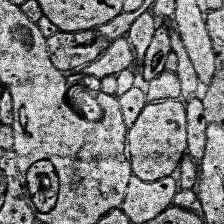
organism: Human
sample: Temporal Lobe